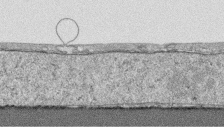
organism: Human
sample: CRL-1474